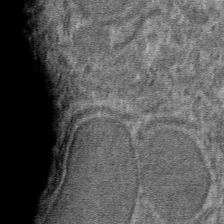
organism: Mouse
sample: Mouse hepatocytes